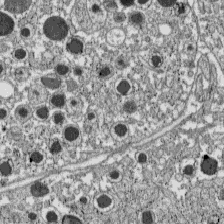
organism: C57BL Mouse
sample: Pancreatic islet